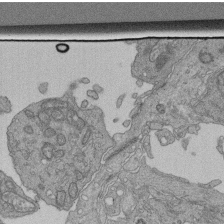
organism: Human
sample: Retinal organoid Rod and Cone cells